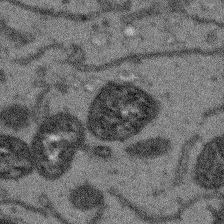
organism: Arabidopsis thaliana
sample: Root tip